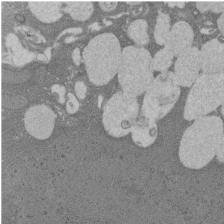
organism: Rat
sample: Salivary granule